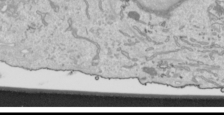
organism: Human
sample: Mitochondria in HCT116 cells